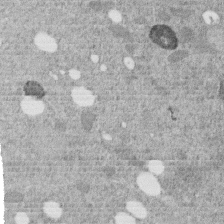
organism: C. elegans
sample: C. elegans embryo early stage